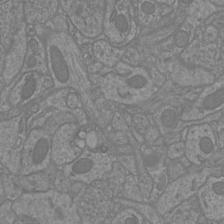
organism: Mouse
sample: Cortical neurons